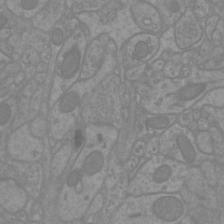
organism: Mouse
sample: Cortical neurons